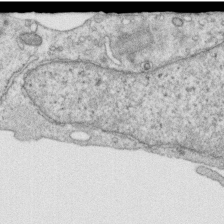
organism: Human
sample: Centriole in RPE cells